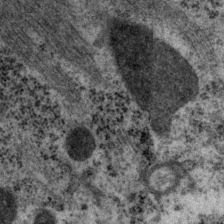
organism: P. pacificus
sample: Pharynx